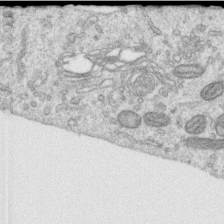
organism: Human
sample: Centriole in RPE cells